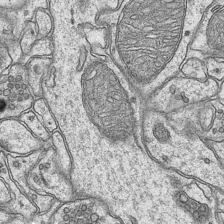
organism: Mouse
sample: CA1 Hippocampus